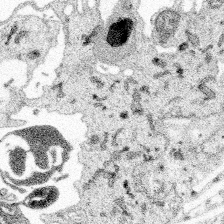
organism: Spongilla lacustris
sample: Multiple